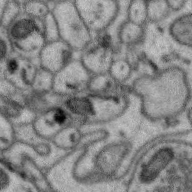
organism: Zebra finch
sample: Brain